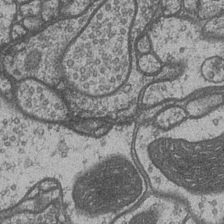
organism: Drosophila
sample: Optic medulla